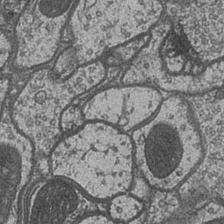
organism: Drosophila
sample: Optic medulla